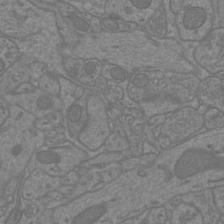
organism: Mouse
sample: Cortical neurons